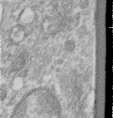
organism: Human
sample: Centriole in RPE cells